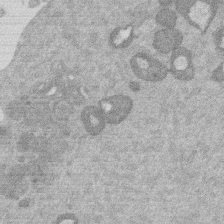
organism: Mouse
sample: Dividing mouse embryo 1 cell stage